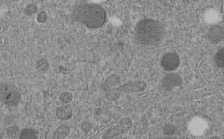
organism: C. elegans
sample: C. elegans embryo early stage